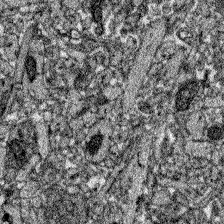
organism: Zebrafish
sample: Larval olfactory bulb